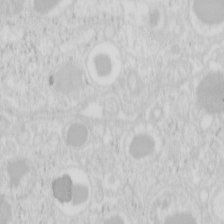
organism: Mouse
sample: Pancreas